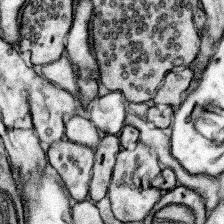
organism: Mouse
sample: Somatosensory cortex neuropil